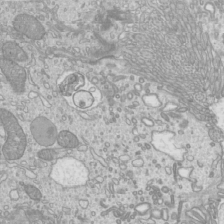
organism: Mouse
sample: Cilia; mouse epididymis